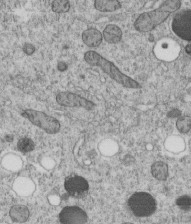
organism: C. elegans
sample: C. elegans embryo early stage